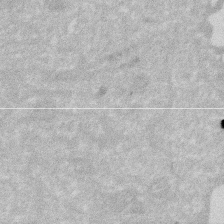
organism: Human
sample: HIV infected U937 cells